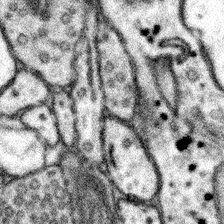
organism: Mouse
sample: Somatosensory cortex neuropil